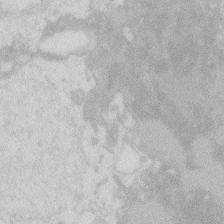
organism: Zebrafish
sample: Macrophage